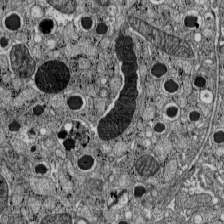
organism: C57BL Mouse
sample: Pancreatic islet